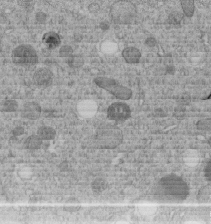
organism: C. elegans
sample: C. elegans embryo early stage